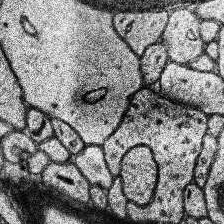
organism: Human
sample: Temporal Lobe